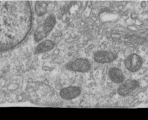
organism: Human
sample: Centriole in RPE cells